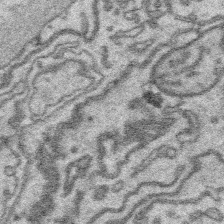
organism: Platynereis dumerilii